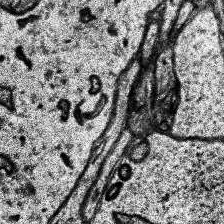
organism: Human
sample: Temporal Lobe